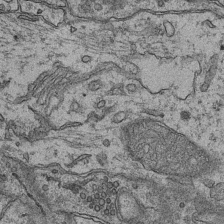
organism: Mouse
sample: CA1 Hippocampus